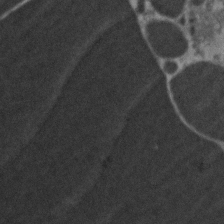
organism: Zebrafish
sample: Zebrafish embryo